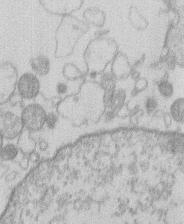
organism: Human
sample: Macrophage cells